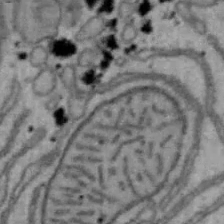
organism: Mouse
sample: Liver